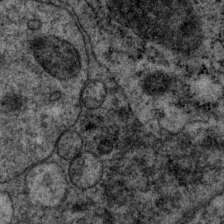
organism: P. pacificus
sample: Pharynx